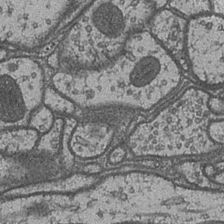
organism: Drosophila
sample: Optic medulla